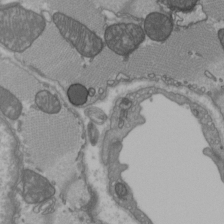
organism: C57BL Mouse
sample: Heart